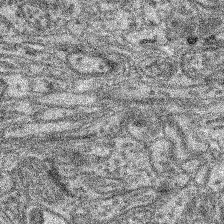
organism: Mouse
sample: Retina